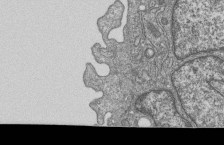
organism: Human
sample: MDA-MB-231 cells